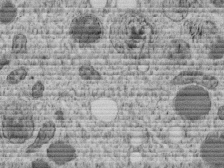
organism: C. elegans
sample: C. elegans embryo early stage